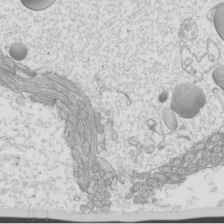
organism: Mouse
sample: Cilia; mouse epididymis